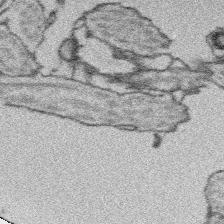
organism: Platynereis dumerilii